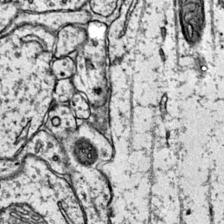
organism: Mouse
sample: Primary visual cortex